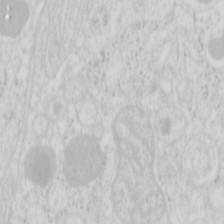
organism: Mouse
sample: Pancreas